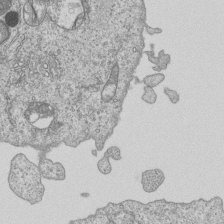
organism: Human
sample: MDA-MB-231 cells